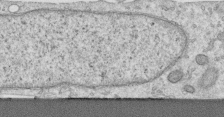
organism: Human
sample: Centriole in RPE cells